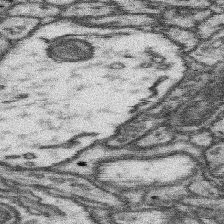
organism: Mouse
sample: Somatosensory cortex neuropil